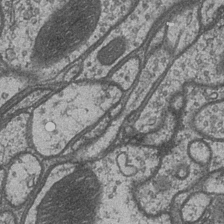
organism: Drosophila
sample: Optic medulla